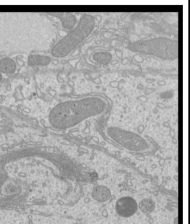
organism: Mouse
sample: Cilia; mouse epididymis